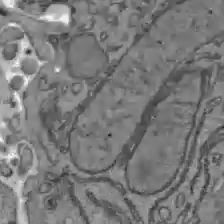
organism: C57BL Mouse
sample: Liver